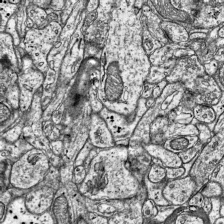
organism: Mouse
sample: Visual Cortex